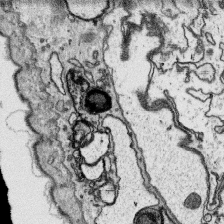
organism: Platynereis dumerilii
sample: Parapodia